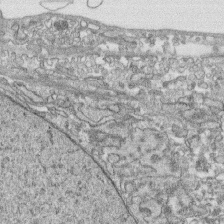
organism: Human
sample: CRL-1474